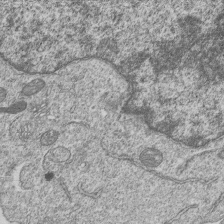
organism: Human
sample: MDA-MB-231 cells